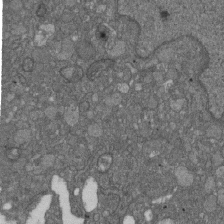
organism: Drosophila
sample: Nephrocyte